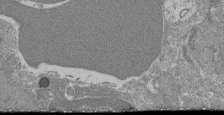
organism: Mouse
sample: Glomerulus